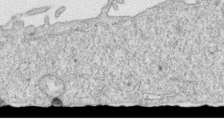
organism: Human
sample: HeLa cell HIV synapse